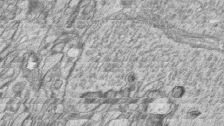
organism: Zebrafish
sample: synaptic ribbons in rod cells and cone cells